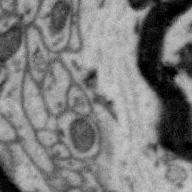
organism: Zebra finch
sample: Brain